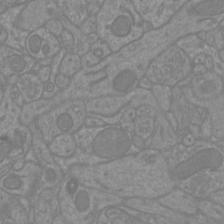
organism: Mouse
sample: Cortical neurons